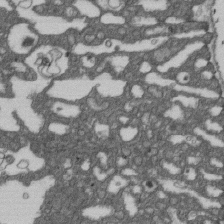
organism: Drosophila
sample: Nephrocyte